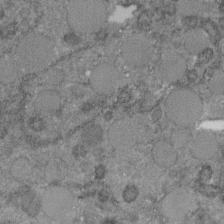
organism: C. elegans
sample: C. elegans embryo early stage